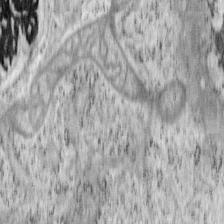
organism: Human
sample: HeLa cells